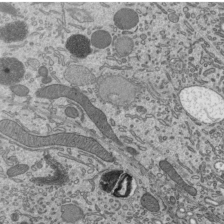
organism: Mouse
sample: Mouse epididymis efferent ductule cilia